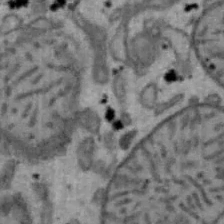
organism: Mouse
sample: Liver